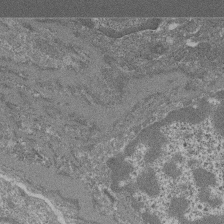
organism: Mouse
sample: Glomerulus